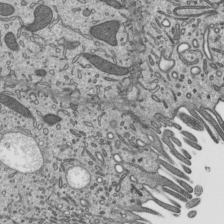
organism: Mouse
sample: Mouse epididymis efferent ductule cilia